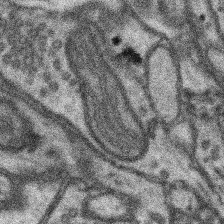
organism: Mouse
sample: Somatosensory cortex neuropil